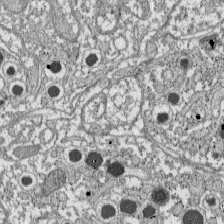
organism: C57BL Mouse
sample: Pancreatic islet